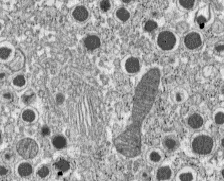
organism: C57BL Mouse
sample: Pancreatic islet